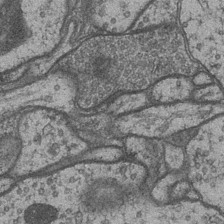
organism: Drosophila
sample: Optic medulla